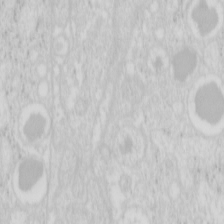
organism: Mouse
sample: Pancreas